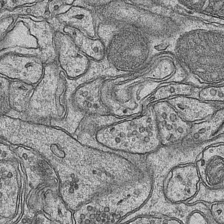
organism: Mouse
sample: CA1 Hippocampus